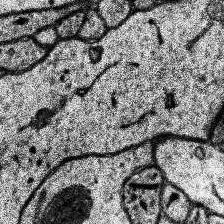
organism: Human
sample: Temporal Lobe